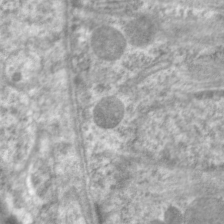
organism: C. elegans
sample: Pharynx